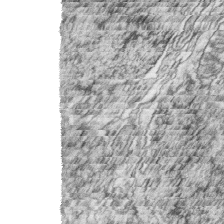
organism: Zebrafish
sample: synaptic ribbons in rod cells and cone cells